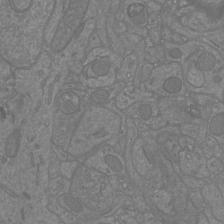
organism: Mouse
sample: Cortical neurons